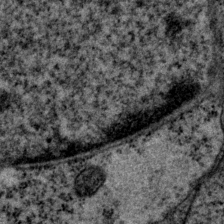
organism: P. pacificus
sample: Pharynx